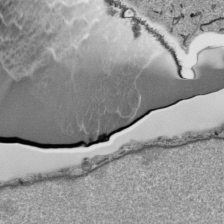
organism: Human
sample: Mitochondria in HCT116 cells